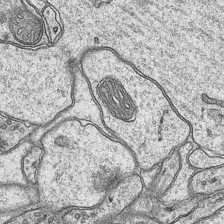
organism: Mouse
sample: CA1 Hippocampus